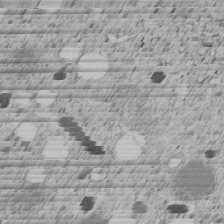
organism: C. elegans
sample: C. elegans embryo early stage